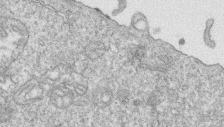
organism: Human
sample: HeLa cell HIV synapse